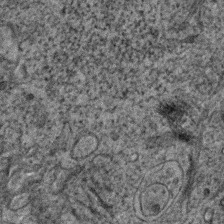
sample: Trachea